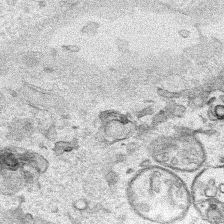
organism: Human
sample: Mitochondria in HCT116 cells